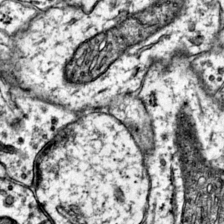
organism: Mouse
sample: Primary visual cortex